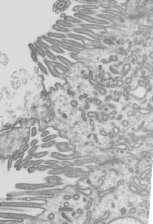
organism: Mouse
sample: Mouse epididymis efferent ductule cilia